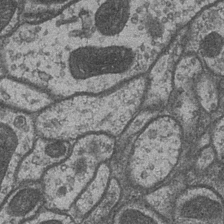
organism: Drosophila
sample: Optic medulla